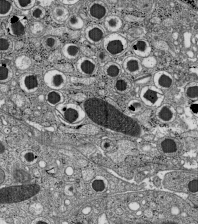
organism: C57BL Mouse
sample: Pancreatic islet